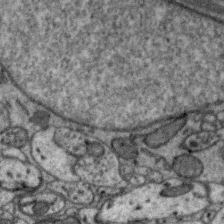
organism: Zebra finch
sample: Brain